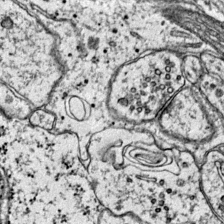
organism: Mouse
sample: Primary visual cortex